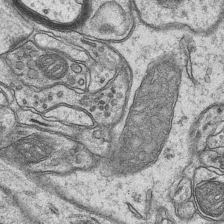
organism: Mouse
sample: CA1 Hippocampus